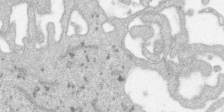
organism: Human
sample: Lung epithelial cells infected with SARS-CoV-2